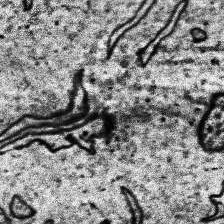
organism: Human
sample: Temporal Lobe